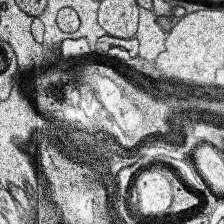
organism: Human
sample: Temporal Lobe